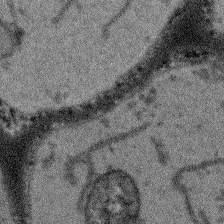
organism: Arabidopsis thaliana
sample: Root tip